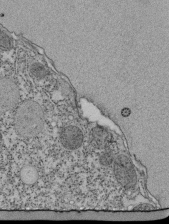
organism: Tetrahymena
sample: Cilia in tetrahymena